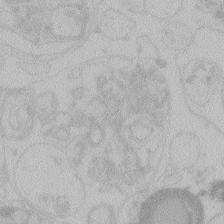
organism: Zebrafish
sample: Macrophage infected with Toxoplasma gondii